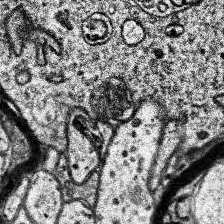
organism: Human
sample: Temporal Lobe